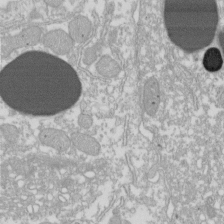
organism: Xenopus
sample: Cilia; centrioles in frog embryo cells